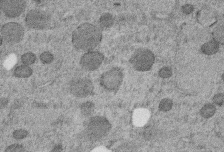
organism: C. elegans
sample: C. elegans embryo early stage